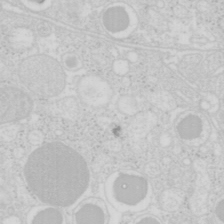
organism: Mouse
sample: Pancreas